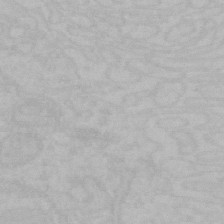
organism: Mouse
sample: Choroid plexus